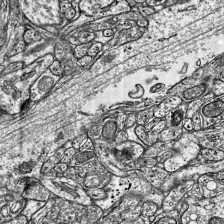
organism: Mouse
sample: Visual Cortex